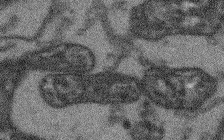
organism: Arabidopsis thaliana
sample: Root tip